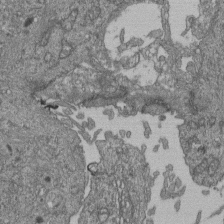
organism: Human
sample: Retinal organoid Rod and Cone cells